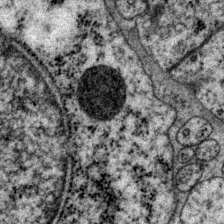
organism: P. pacificus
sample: Pharynx